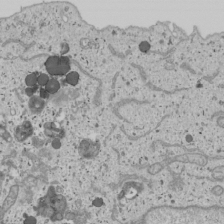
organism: Human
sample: Mitochondria in U2OS cells